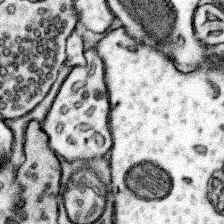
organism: Mouse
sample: Somatosensory cortex neuropil